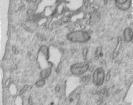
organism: Human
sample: Centriole in RPE cells